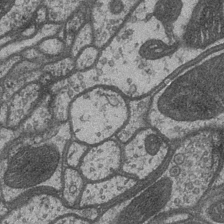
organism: Drosophila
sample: Optic medulla